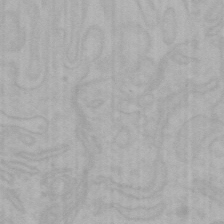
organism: Mouse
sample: Choroid plexus